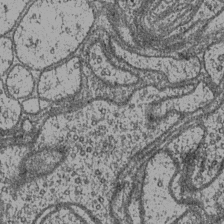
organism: Drosophila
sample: Optic medulla